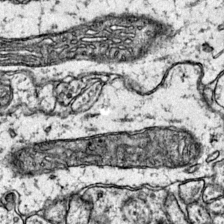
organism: Mouse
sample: Primary visual cortex